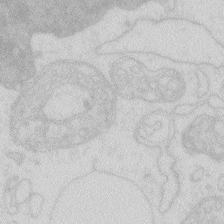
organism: Zebrafish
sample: Macrophage